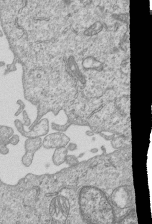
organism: Human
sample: MDA-MB-231 cells